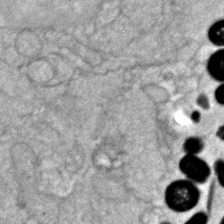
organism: Zebrafish